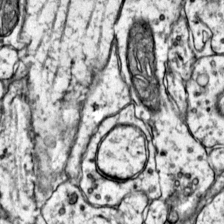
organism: Mouse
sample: Primary visual cortex